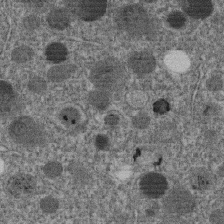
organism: C. elegans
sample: C. elegans embryo early stage